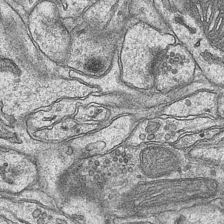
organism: Mouse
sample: CA1 Hippocampus